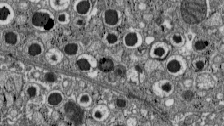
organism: C57BL Mouse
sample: Pancreatic islet